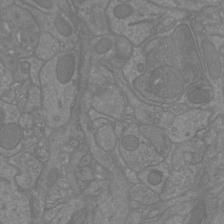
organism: Mouse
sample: Cortical neurons